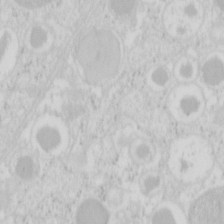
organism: Mouse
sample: Pancreas